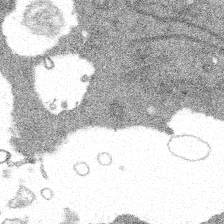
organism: Spongilla lacustris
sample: Multiple